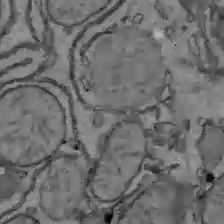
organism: C57BL Mouse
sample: Liver